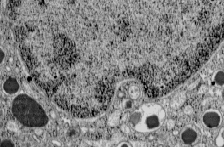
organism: C57BL Mouse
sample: Pancreatic islet